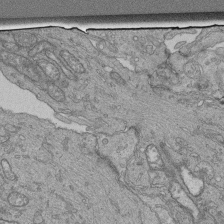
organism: Human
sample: Retinal organoid Rod and Cone cells